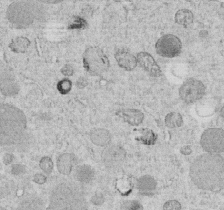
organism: C. elegans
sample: C. elegans embryo early stage